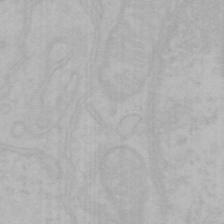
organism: Mouse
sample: Choroid plexus